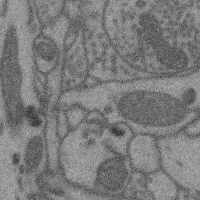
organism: Mouse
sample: Cerebral cortex